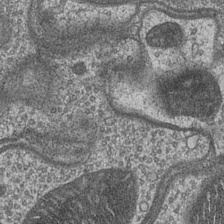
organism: Drosophila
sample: Optic medulla